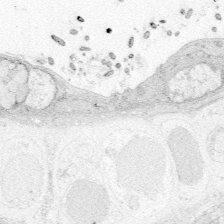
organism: Zebrafish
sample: Whole-Brain